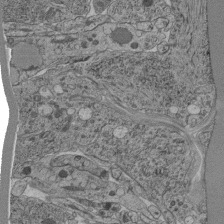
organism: C. elegans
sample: C. elegans pharynx